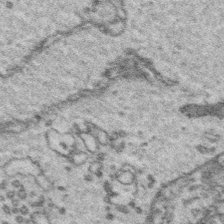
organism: Platynereis dumerilii